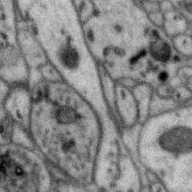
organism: Zebra finch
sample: Brain